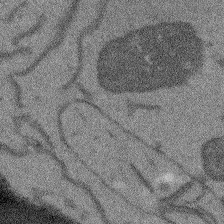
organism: Arabidopsis thaliana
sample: Root tip